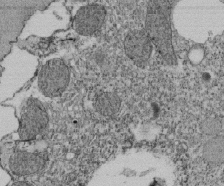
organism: Tetrahymena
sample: Cilia in tetrahymena